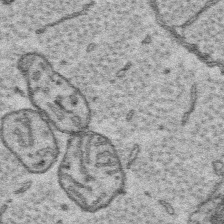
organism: Platynereis dumerilii